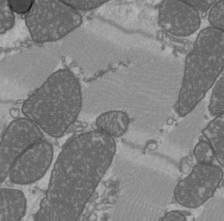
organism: C57BL Mouse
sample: Heart